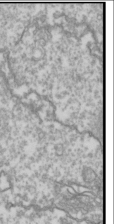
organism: Drosophila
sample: Cell division; meiosis; drosophila spermatocytes